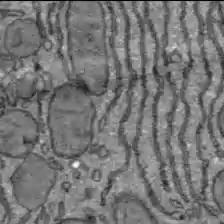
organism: C57BL Mouse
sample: Liver